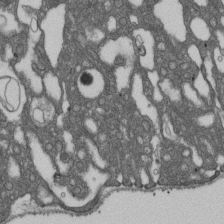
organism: Drosophila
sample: Nephrocyte